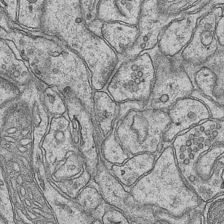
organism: Mouse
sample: CA1 Hippocampus